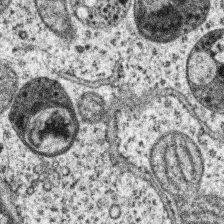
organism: Human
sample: HeLa cells